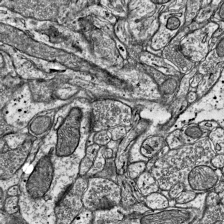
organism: Mouse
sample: Visual Cortex